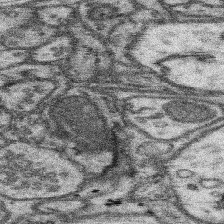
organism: Mouse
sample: Somatosensory cortex neuropil